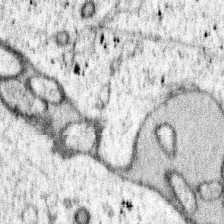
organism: Human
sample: HeLa cells